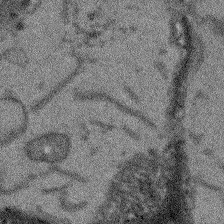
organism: Arabidopsis thaliana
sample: Root tip